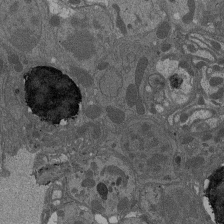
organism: Drosophila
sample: Antenna